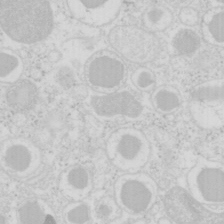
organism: Mouse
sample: Pancreas